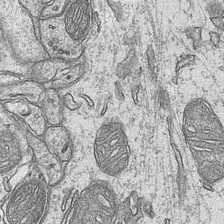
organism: Mouse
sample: CA1 Hippocampus